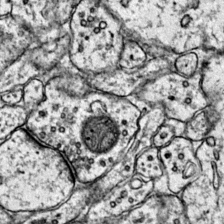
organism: Mouse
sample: Primary visual cortex